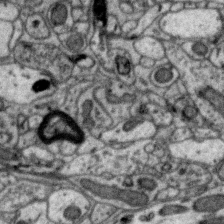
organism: Zebra finch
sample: Brain